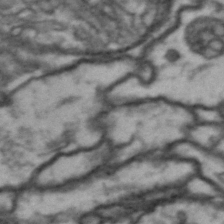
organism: Drosophila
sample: Brain